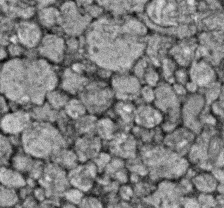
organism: Zebrafish